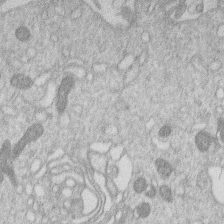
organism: Human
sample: Macrophage cells